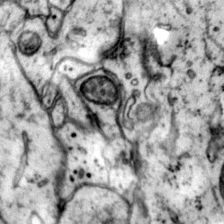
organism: Mouse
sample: Primary visual cortex